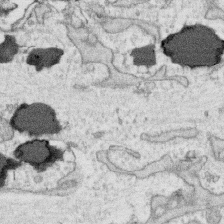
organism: Human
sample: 1205lu cells